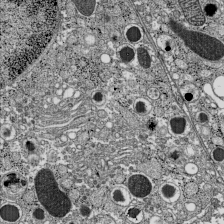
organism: C57BL Mouse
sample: Pancreatic islet